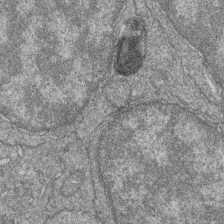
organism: Zebrafish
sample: Cilia; retinal pigment epithelium